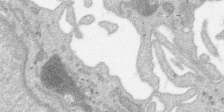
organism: Human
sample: Lung epithelial cells infected with SARS-CoV-2